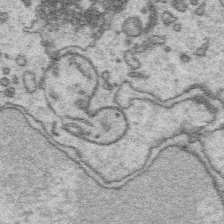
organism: Platynereis dumerilii